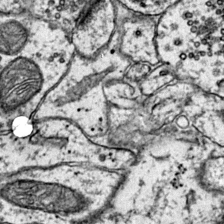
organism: Mouse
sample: Primary visual cortex